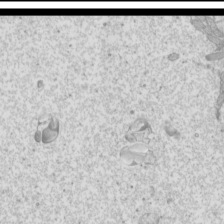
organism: Mouse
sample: Cilia; mouse epididymis